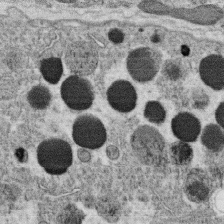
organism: C. elegans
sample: C. elegans oocyte; sperm cells